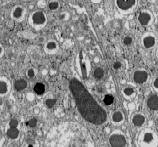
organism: C57BL Mouse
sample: Pancreatic islet